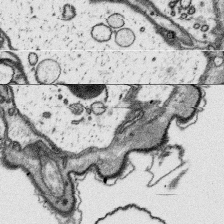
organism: Platynereis dumerilii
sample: Parapodia